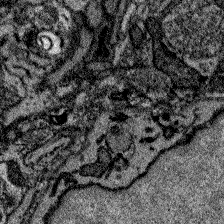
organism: Zebrafish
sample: Larval olfactory bulb